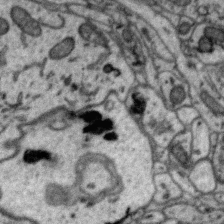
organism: Zebra finch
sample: Brain